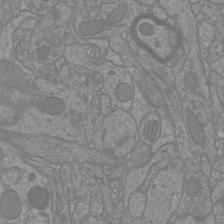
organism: Mouse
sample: Cortical neurons